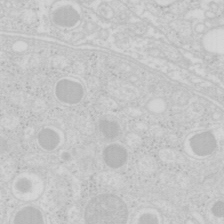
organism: Mouse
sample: Pancreas